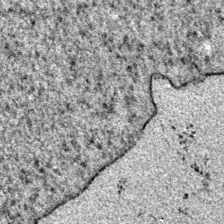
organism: E. coli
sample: E. Coli Bacteria